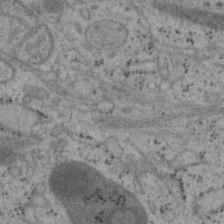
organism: Human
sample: HeLa cells